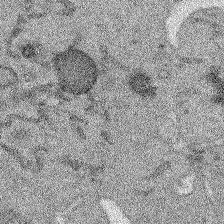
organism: Human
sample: HeLa cells